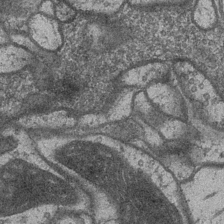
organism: Drosophila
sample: Optic medulla